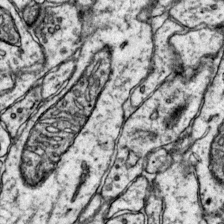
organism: Mouse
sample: Primary visual cortex